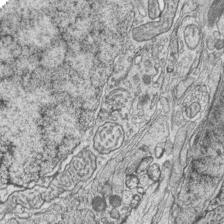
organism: Zebrafish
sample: synaptic ribbons in rod cells and cone cells